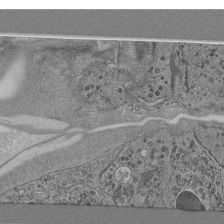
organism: C. elegans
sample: C. elegans pharynx